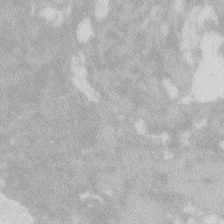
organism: Zebrafish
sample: Macrophage